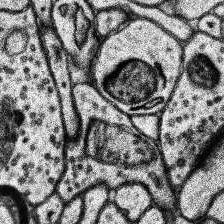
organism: Human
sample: Temporal Lobe